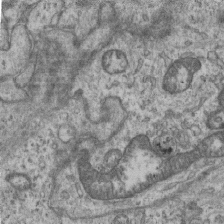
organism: Mouse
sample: Centriole in ependymal cells